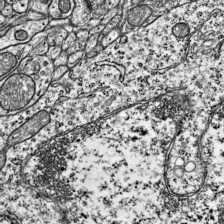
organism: Mouse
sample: Visual Cortex